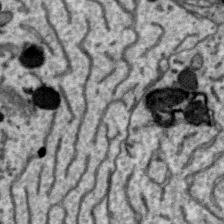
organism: Zebra finch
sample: Brain